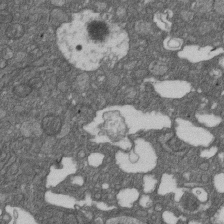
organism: Drosophila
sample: Nephrocyte